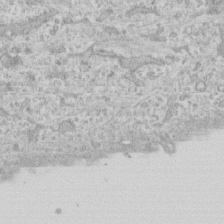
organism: Human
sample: CRL-1474